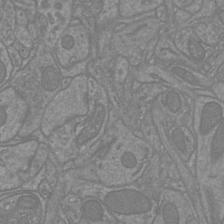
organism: Mouse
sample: Cortical neurons